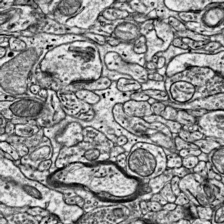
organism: Mouse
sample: Visual Cortex